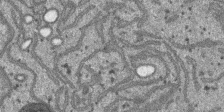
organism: Human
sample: Lung epithelial cells infected with SARS-CoV-2